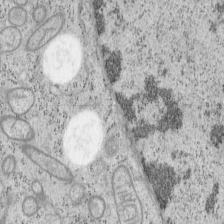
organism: Mouse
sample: OT-I killer T cells with ID8 ovarian cancer cells